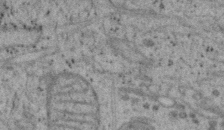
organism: Human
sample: HeLa cells